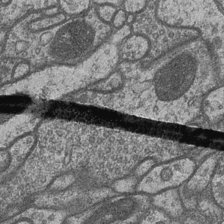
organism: Drosophila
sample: Optic medulla